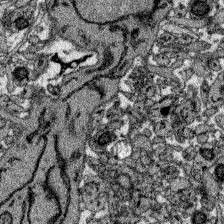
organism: Zebrafish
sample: Larval olfactory bulb